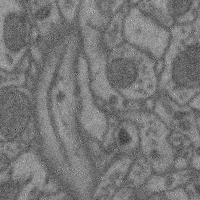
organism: Mouse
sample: Cerebral cortex